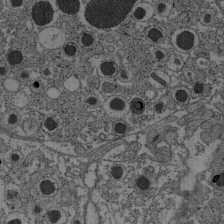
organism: C57BL Mouse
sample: Pancreatic islet